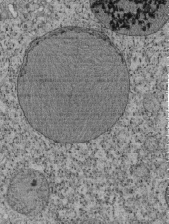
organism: Tetrahymena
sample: Cilia in tetrahymena